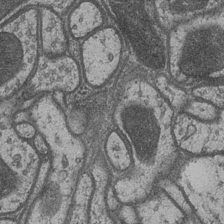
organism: Drosophila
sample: Optic medulla